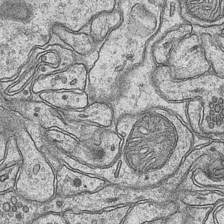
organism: Mouse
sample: CA1 Hippocampus